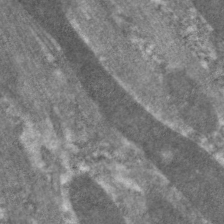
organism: C. elegans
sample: Pharynx